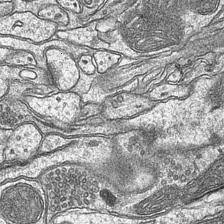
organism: Mouse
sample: CA1 Hippocampus